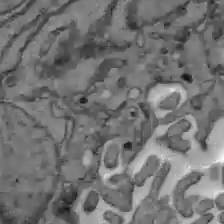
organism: C57BL Mouse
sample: Liver